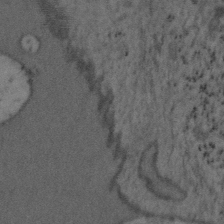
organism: Human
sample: HeLa cells